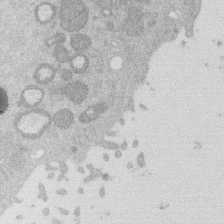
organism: Mouse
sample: Dividing mouse embryo 1 cell stage